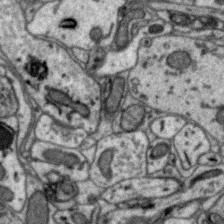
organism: Zebra finch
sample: Brain